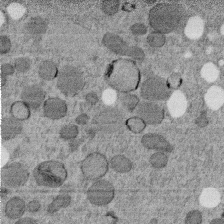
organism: C. elegans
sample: C. elegans embryo early stage